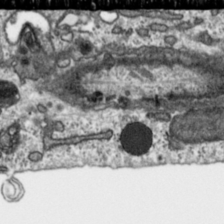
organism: Toxoplasma gondii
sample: Parasites in a vacuole inside a host cell